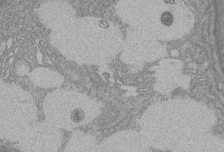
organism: Rat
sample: Salivary granule